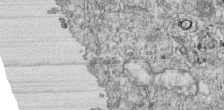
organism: Human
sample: HeLa cell HIV synapse